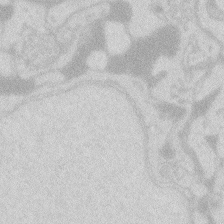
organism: Zebrafish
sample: Macrophage